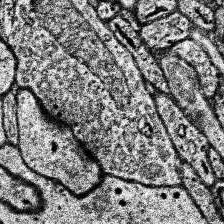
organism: Human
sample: Temporal Lobe